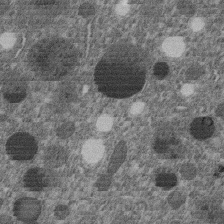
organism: C. elegans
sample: C. elegans embryo early stage